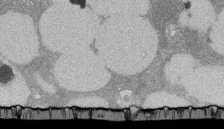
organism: Rat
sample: Salivary granule